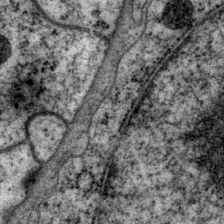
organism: P. pacificus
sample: Pharynx